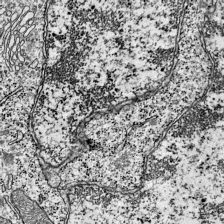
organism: Mouse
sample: Visual Cortex